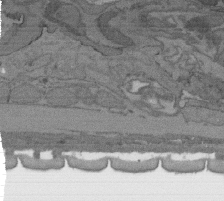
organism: C. elegans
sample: AFD neurons C. elegans